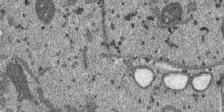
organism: Human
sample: Lung epithelial cells infected with SARS-CoV-2